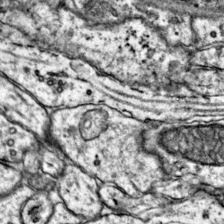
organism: Mouse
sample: Primary visual cortex